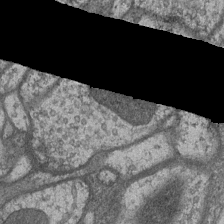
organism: Drosophila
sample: Optic medulla